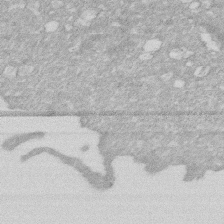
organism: Human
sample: HIV infected U937 cells